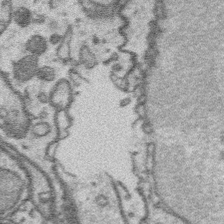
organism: Platynereis dumerilii